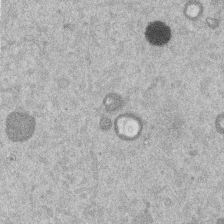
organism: Mouse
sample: Dividing mouse embryo 1 cell stage